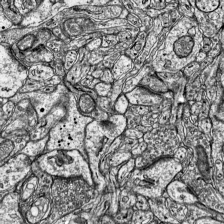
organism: Mouse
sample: Visual Cortex